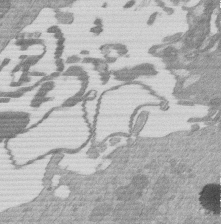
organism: Mouse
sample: Dividing mouse embryo 1 cell stage